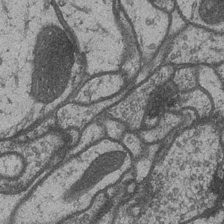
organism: Drosophila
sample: Optic medulla